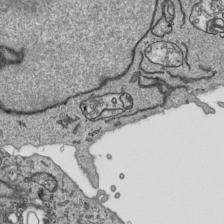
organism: Human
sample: Mitochondria in HCT116 cells